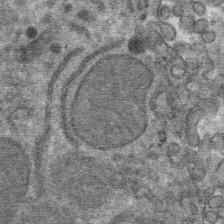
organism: Mouse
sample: Mouse hepatocytes